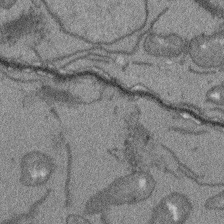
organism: Arabidopsis thaliana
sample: Root tip